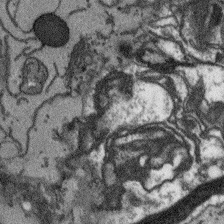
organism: Arabidopsis thaliana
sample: Root tip